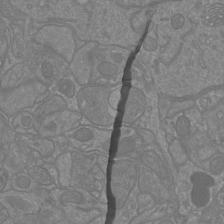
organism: Mouse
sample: Cortical neurons